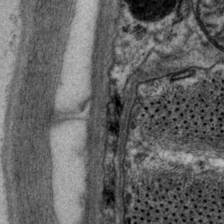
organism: P. pacificus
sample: Pharynx